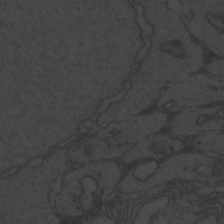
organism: Zebrafish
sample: Macrophage infected with Toxoplasma gondii